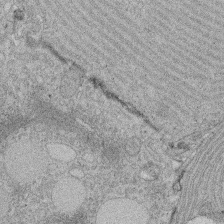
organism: Rat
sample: Salivary granule